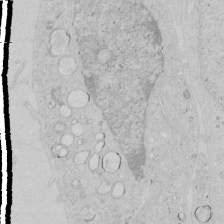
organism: Human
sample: Mitochondria in HCT116 cells